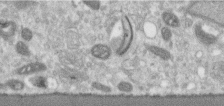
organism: Human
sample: Centriole in RPE cells